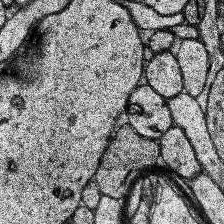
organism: Human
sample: Temporal Lobe